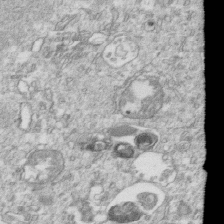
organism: Mouse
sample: Activated OT-1 CD8+ T cells